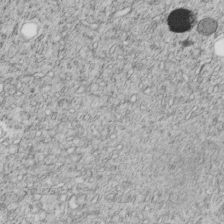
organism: C. elegans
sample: C. elegans embryo early stage